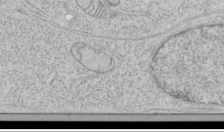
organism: Human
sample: Mitochondria in HCT116 cells